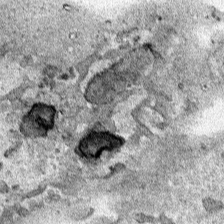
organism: Human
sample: Mitochondria in HCT116 cells